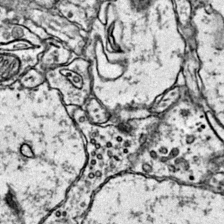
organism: Mouse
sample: Primary visual cortex